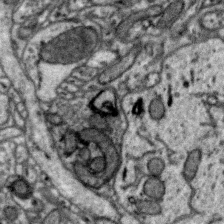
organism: Zebra finch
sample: Brain